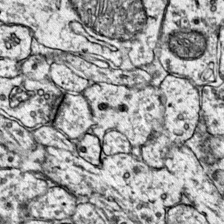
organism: Mouse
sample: Primary visual cortex